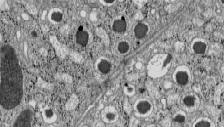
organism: C57BL Mouse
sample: Pancreatic islet